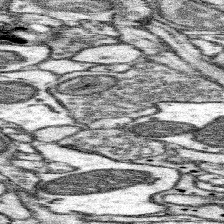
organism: Mouse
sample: Somatosensory cortex neuropil